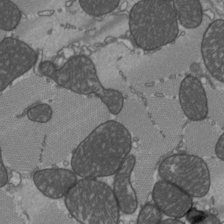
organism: C57BL Mouse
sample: Heart